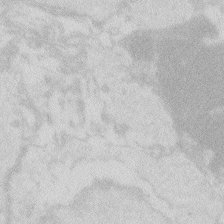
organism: Zebrafish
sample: Macrophage